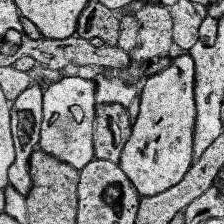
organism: Human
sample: Temporal Lobe